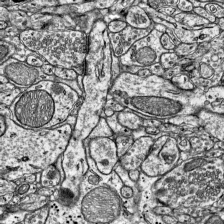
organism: Mouse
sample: Visual Cortex